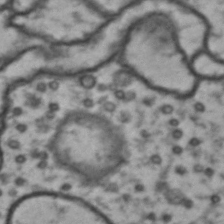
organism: Drosophila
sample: Brain